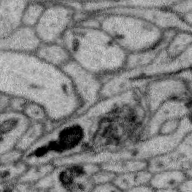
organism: Zebra finch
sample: Brain